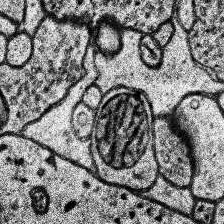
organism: Human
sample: Temporal Lobe